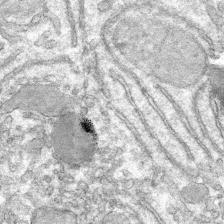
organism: Mouse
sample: Mouse hepatocytes